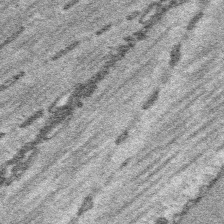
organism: Platynereis dumerilii